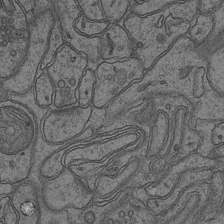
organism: Mouse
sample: CA1 Hippocampus